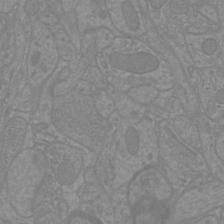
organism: Mouse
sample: Cortical neurons